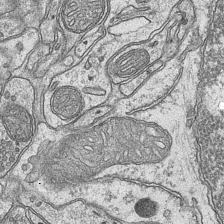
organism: Mouse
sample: CA1 Hippocampus